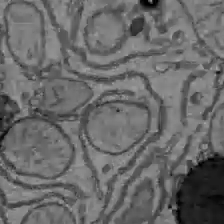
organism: C57BL Mouse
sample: Liver